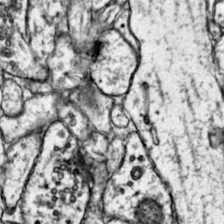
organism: Mouse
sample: Primary visual cortex